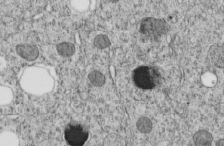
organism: C. elegans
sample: C. elegans embryo early stage